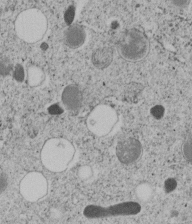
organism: C. elegans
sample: C. elegans embryo early stage